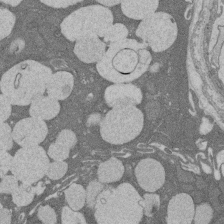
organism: Rat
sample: Salivary granule